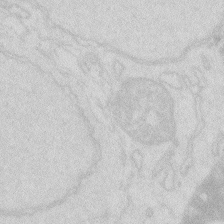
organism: Zebrafish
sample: Macrophage